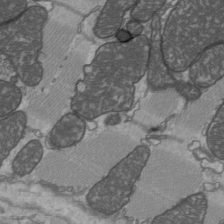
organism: C57BL Mouse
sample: Heart